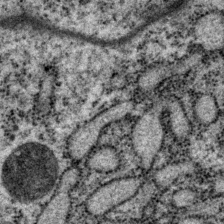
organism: P. pacificus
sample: Pharynx